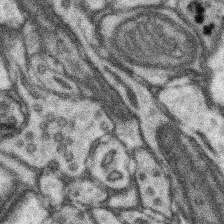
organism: Mouse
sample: Somatosensory cortex neuropil